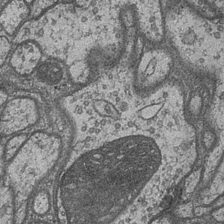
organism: Drosophila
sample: Optic medulla